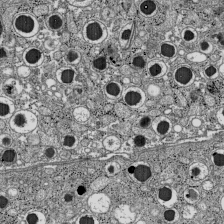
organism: C57BL Mouse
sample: Pancreatic islet